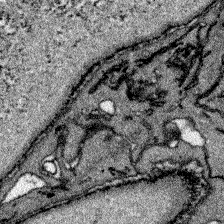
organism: Zebrafish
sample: Larval olfactory bulb